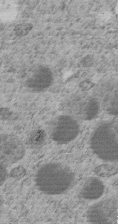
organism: C. elegans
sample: C. elegans embryo early stage